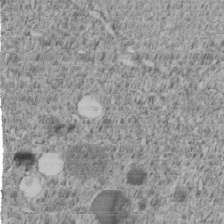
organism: C. elegans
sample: C. elegans embryo early stage